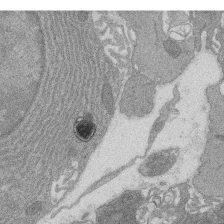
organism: Rat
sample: Salivary granule